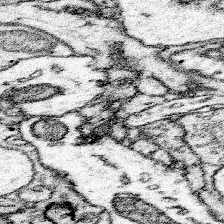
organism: Mouse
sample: Somatosensory cortex neuropil